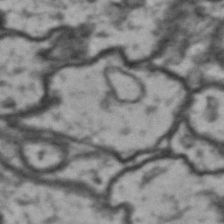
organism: Drosophila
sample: Brain